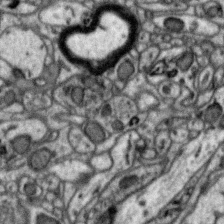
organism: Zebra finch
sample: Brain